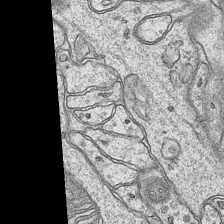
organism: Mouse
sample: CA1 Hippocampus